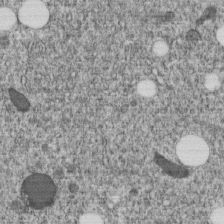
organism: C. elegans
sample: C. elegans embryo early stage